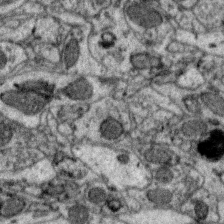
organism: Zebra finch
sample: Brain